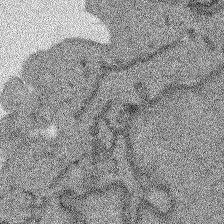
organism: Human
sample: HeLa cells